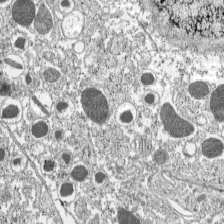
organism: C57BL Mouse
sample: Pancreatic islet